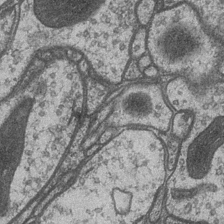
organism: Drosophila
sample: Optic medulla